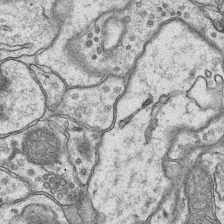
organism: Mouse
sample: CA1 Hippocampus